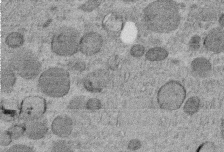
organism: C. elegans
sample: C. elegans embryo early stage